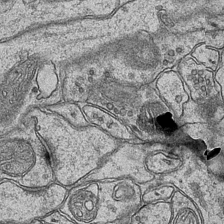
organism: Mouse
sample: CA1 Hippocampus